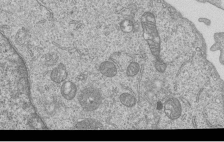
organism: Human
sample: MDA-MB-231 cells